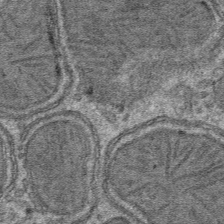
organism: Mouse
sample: Mouse hepatocytes